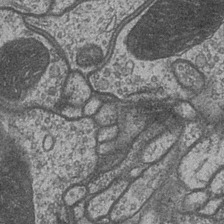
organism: Drosophila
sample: Optic medulla